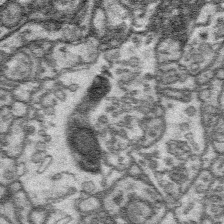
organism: Platynereis dumerilii